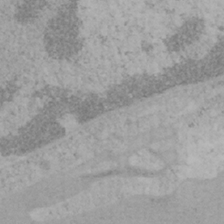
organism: Mouse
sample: OT-I killer T cells with ID8 ovarian cancer cells